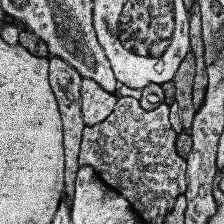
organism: Human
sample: Temporal Lobe